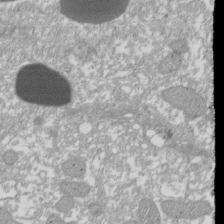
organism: Xenopus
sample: Cilia; centrioles in frog embryo cells